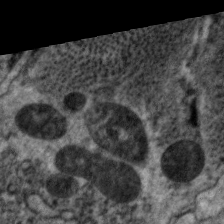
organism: C. elegans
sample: Pharynx